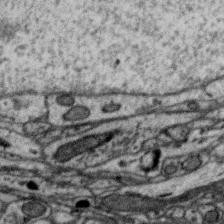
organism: Zebra finch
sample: Brain